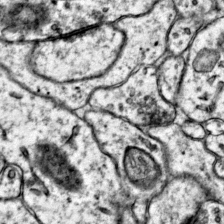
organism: Mouse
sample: Primary visual cortex